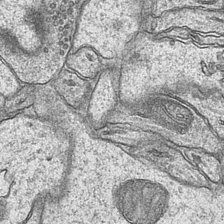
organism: Mouse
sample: CA1 Hippocampus